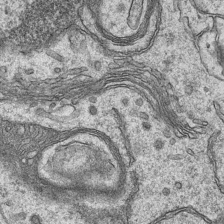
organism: Mouse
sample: CA1 Hippocampus